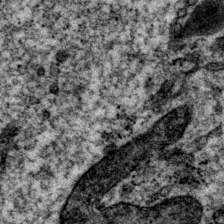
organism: P. pacificus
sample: Pharynx